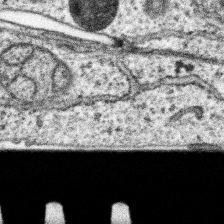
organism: Human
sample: HeLa cells